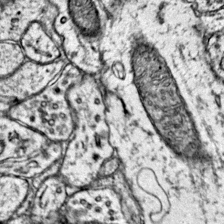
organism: Mouse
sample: Primary visual cortex